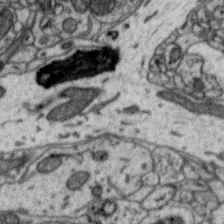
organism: Zebra finch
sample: Brain